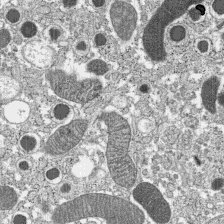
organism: C57BL Mouse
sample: Pancreatic islet